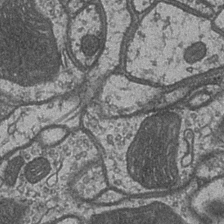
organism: Drosophila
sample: Optic medulla